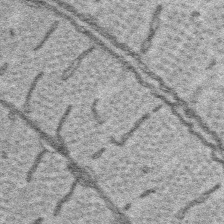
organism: Platynereis dumerilii